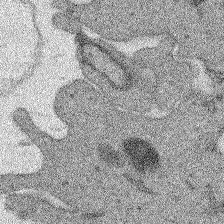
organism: Human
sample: HeLa cells